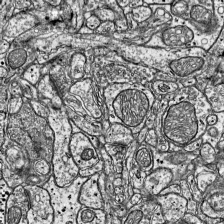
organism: Mouse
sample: Visual Cortex